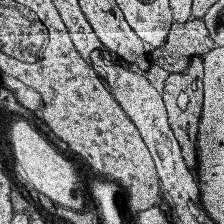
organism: Human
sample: Temporal Lobe